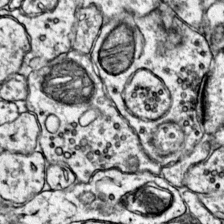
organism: Mouse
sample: Primary visual cortex